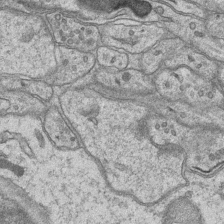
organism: Mouse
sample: CA1 Hippocampus